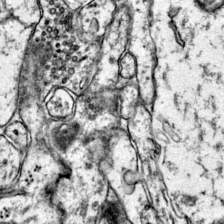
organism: Mouse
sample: Primary visual cortex